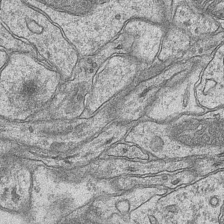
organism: Mouse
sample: CA1 Hippocampus